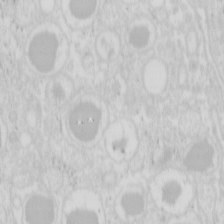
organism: Mouse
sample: Pancreas